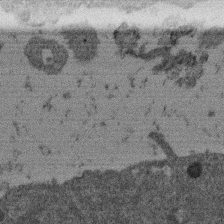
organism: Mouse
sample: Dividing mouse embryo 1 cell stage